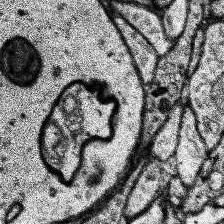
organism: Human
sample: Temporal Lobe